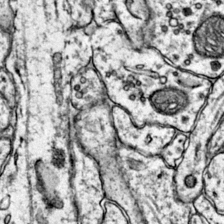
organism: Mouse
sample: Primary visual cortex